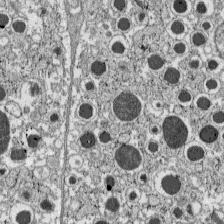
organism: C57BL Mouse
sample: Pancreatic islet